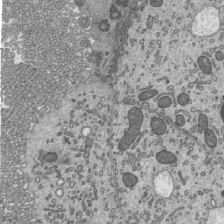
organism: Mouse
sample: Mouse epididymis efferent ductule cilia